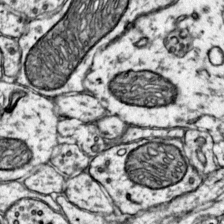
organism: Mouse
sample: Primary visual cortex